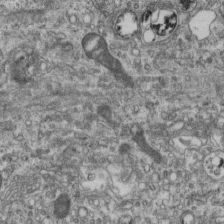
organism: Mouse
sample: Centriole in ependymal cells